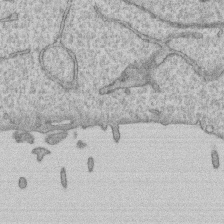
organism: Human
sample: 1205lu cells